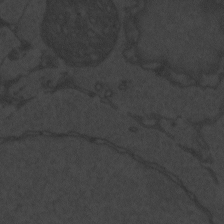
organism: Zebrafish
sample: Macrophage infected with Toxoplasma gondii